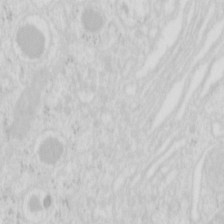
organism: Mouse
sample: Pancreas